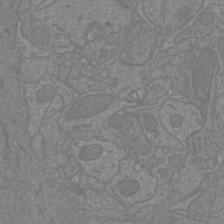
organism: Mouse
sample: Cortical neurons